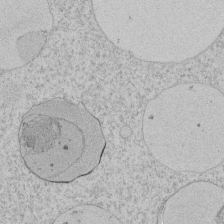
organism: Tetrahymena